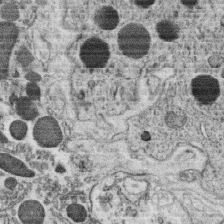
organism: C. elegans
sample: C. elegans oocyte; sperm cells